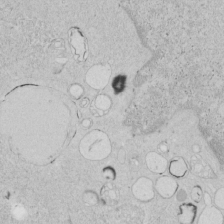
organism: Human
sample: Mitochondria in HCT116 cells